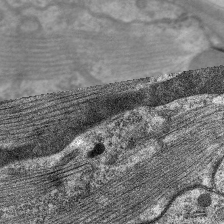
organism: C. elegans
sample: Pharynx